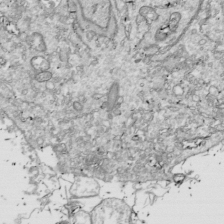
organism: Drosophila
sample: Cell division; meiosis; drosophila spermatocytes